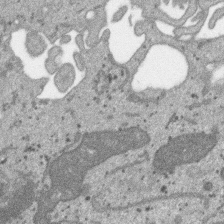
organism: Human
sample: Lung epithelial cells infected with SARS-CoV-2